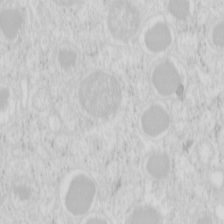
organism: Mouse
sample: Pancreas